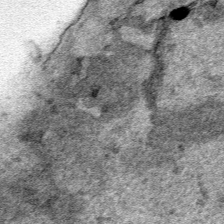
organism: Human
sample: Mitochondria in HCT116 cells